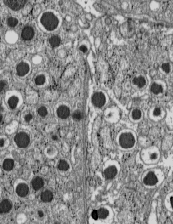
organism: C57BL Mouse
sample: Pancreatic islet